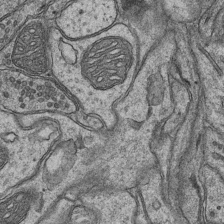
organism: Mouse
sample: CA1 Hippocampus